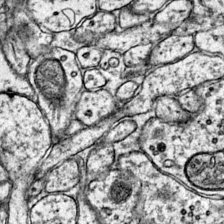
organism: Mouse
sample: Primary visual cortex